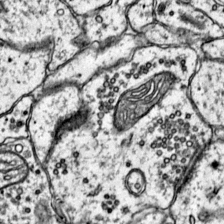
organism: Mouse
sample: Primary visual cortex